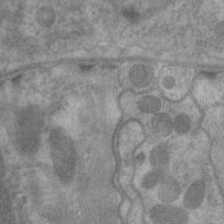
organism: C. elegans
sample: Pharynx